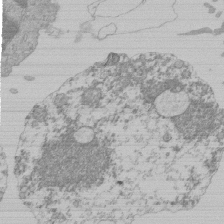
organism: Mouse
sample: Activated Pmel transgenic CD8+ T Cells